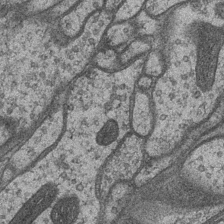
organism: Drosophila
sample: Optic medulla